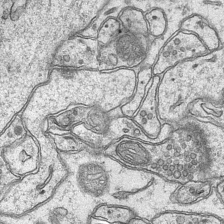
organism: Mouse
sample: CA1 Hippocampus